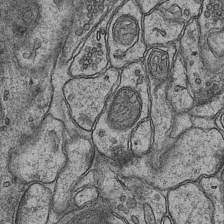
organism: Mouse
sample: CA1 Hippocampus